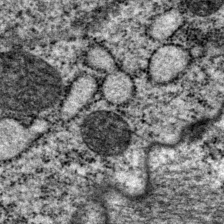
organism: P. pacificus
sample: Pharynx